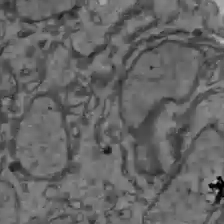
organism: C57BL Mouse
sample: Liver